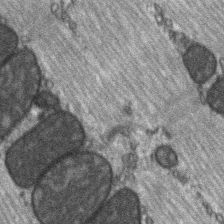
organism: C57BL Mouse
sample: Soleus